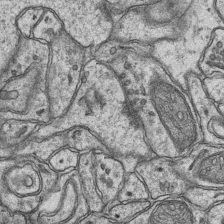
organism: Mouse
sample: CA1 Hippocampus